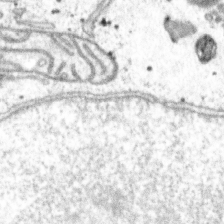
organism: Human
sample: HeLa cells